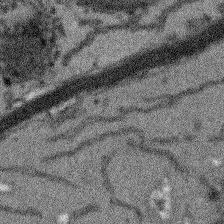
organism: Arabidopsis thaliana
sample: Root tip